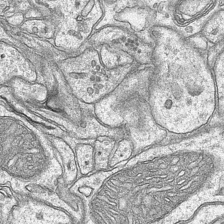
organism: Mouse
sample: CA1 Hippocampus